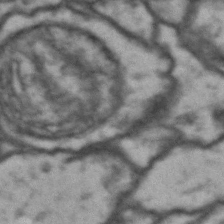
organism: Drosophila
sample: Brain